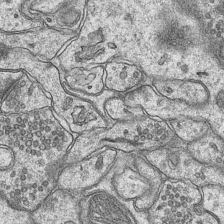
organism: Mouse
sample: CA1 Hippocampus